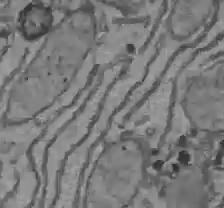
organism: C57BL Mouse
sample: Liver